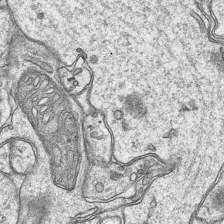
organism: Mouse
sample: CA1 Hippocampus